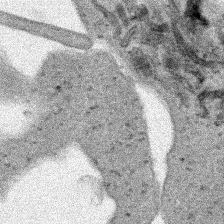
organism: Human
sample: Mitochondria in HCT116 cells